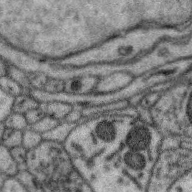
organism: Zebra finch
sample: Brain